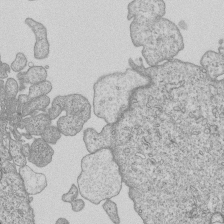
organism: Human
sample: MDA-MB-231 cells